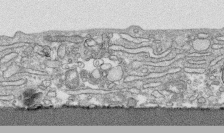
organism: Human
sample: CRL-1474